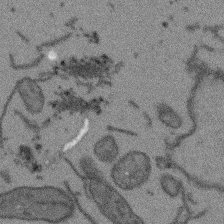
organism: Arabidopsis thaliana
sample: Root tip